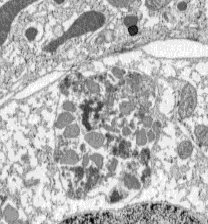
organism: C57BL Mouse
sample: Pancreatic islet